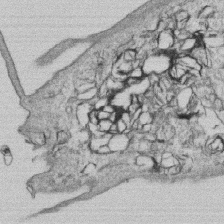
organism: Human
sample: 1205lu cells